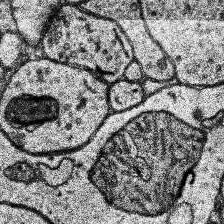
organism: Human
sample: Temporal Lobe